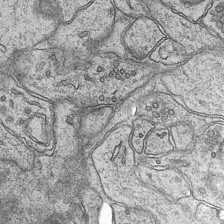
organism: Mouse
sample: CA1 Hippocampus